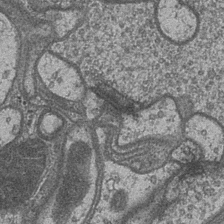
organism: Drosophila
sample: Optic medulla